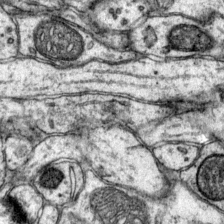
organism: Mouse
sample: Primary visual cortex